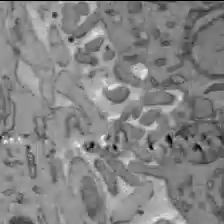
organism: C57BL Mouse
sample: Liver